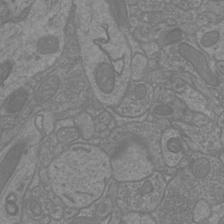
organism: Mouse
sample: Cortical neurons